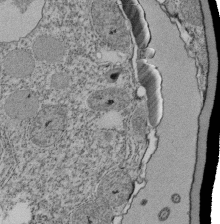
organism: Tetrahymena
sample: Cilia in tetrahymena